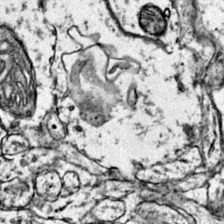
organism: Mouse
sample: Primary visual cortex